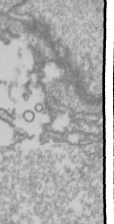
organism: Drosophila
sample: Cell division; meiosis; drosophila spermatocytes